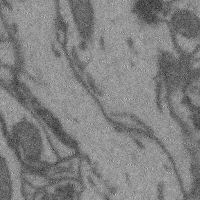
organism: Mouse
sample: Cerebral cortex